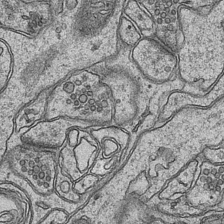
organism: Mouse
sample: CA1 Hippocampus